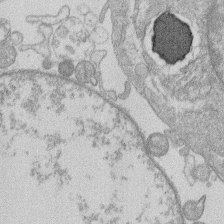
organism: Human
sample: Macrophage cells